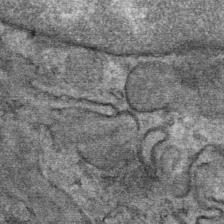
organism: Mouse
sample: Mouse Salivary gland